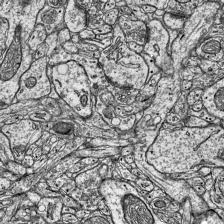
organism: Mouse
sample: Visual Cortex